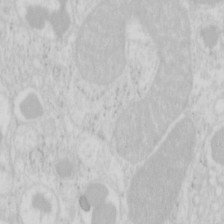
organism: Mouse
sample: Pancreas